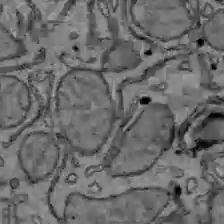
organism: C57BL Mouse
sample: Liver